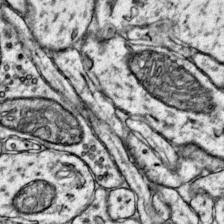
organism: Mouse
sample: Primary visual cortex